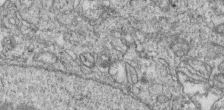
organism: Human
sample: HeLa cell HIV synapse